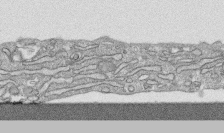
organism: Human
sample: CRL-1474